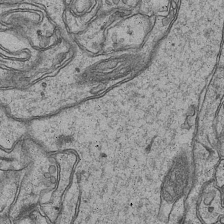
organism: Mouse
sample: CA1 Hippocampus